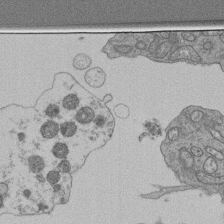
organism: Human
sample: Retinal organoid Rod and Cone cells